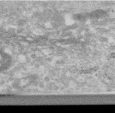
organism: Human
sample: Centriole in RPE cells